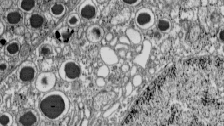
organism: C57BL Mouse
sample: Pancreatic islet